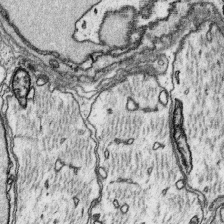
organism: Platynereis dumerilii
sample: Parapodia